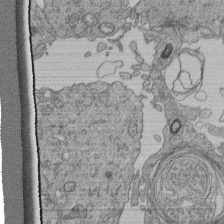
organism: Human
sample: Retinal organoid Rod and Cone cells